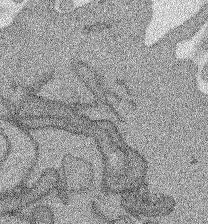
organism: Human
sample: HeLa cells